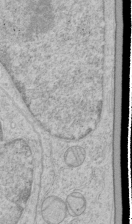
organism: Human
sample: Mitochondria in HCT116 cells